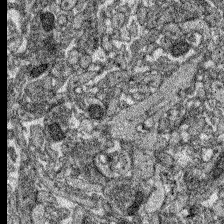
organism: Zebrafish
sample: Larval olfactory bulb